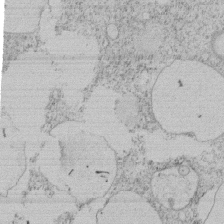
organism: Tetrahymena